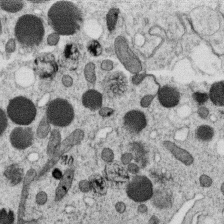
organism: C. elegans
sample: C. elegans oocyte; sperm cells